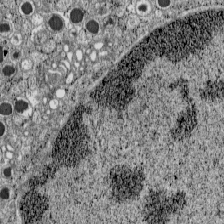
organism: C57BL Mouse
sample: Pancreatic islet